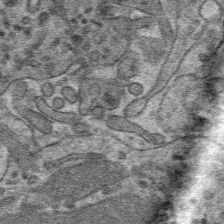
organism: Mouse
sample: Mouse hepatocytes